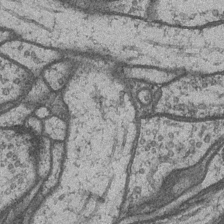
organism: Drosophila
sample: Optic medulla